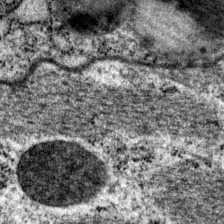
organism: P. pacificus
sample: Pharynx